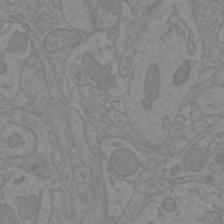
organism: Mouse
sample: Cortical neurons